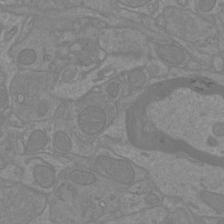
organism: Mouse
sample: Cortical neurons